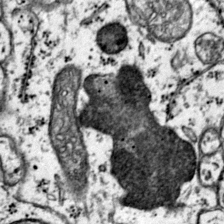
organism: Mouse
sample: Primary visual cortex